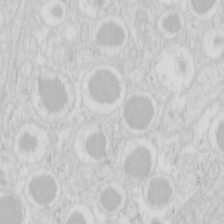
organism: Mouse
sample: Pancreas